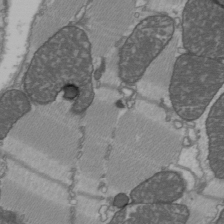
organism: C57BL Mouse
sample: Heart